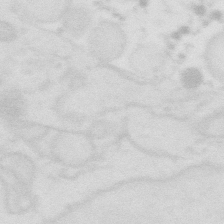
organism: Human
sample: HeLa cells